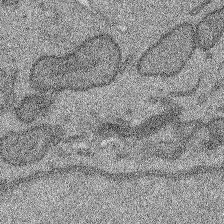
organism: Human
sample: HeLa cells